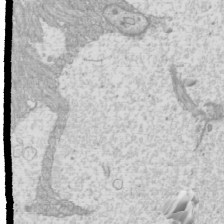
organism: Mouse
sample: Cilia; mouse epididymis